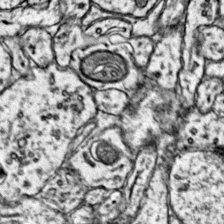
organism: Mouse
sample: Primary visual cortex